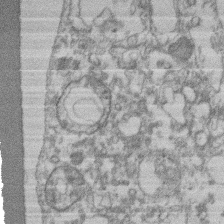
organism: Mouse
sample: T cell stromal cell synapse